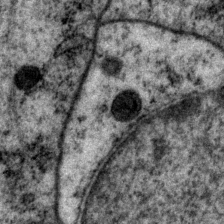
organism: P. pacificus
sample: Pharynx